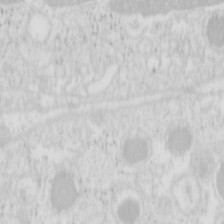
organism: Mouse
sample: Pancreas